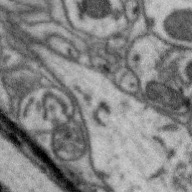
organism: Zebra finch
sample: Brain